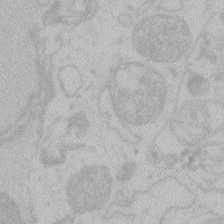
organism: Zebrafish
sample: Macrophage infected with Toxoplasma gondii